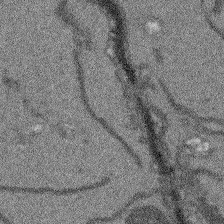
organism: Arabidopsis thaliana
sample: Root tip